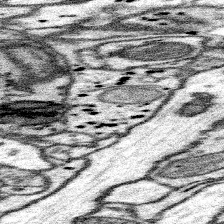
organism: Mouse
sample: Somatosensory cortex neuropil